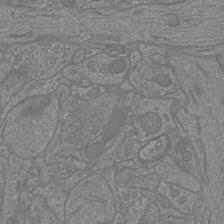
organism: Mouse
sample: Cortical neurons